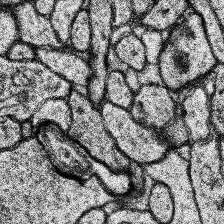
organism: Human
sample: Temporal Lobe